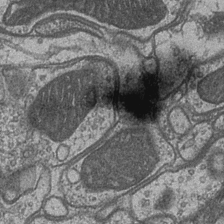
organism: Drosophila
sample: Optic medulla